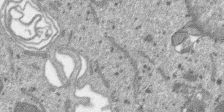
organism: Human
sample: Lung epithelial cells infected with SARS-CoV-2